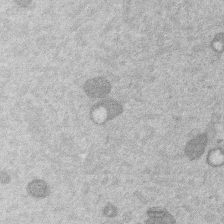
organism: Mouse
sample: Dividing mouse embryo 1 cell stage